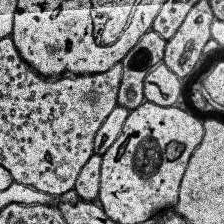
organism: Human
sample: Temporal Lobe